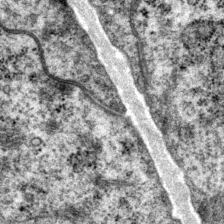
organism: P. pacificus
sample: Pharynx